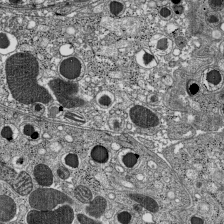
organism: C57BL Mouse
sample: Pancreatic islet